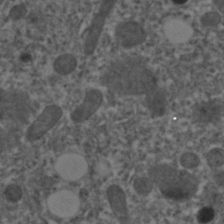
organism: C. elegans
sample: C. elegans embryo